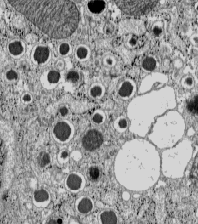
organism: C57BL Mouse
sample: Pancreatic islet